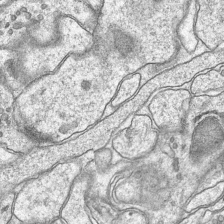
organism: Mouse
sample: CA1 Hippocampus